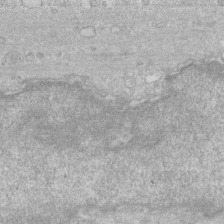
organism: Human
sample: Fibroblast cells